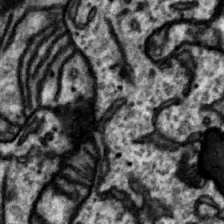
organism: Human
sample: HeLa cells